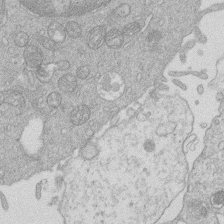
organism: Human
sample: Macrophage cells